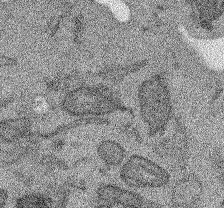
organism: Human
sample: HeLa cells